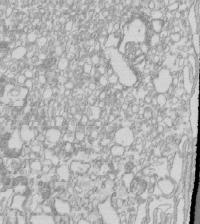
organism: Mouse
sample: Macrophages